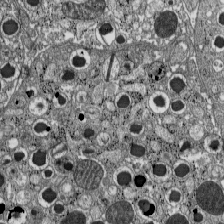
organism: C57BL Mouse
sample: Pancreatic islet